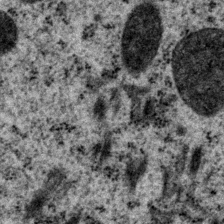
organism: P. pacificus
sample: Pharynx